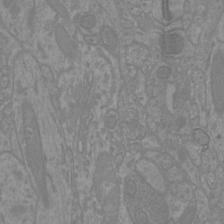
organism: Mouse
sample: Cortical neurons